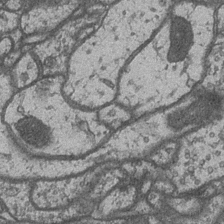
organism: Drosophila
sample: Optic medulla